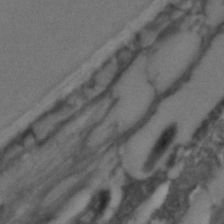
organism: C. elegans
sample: C. elegans embryo